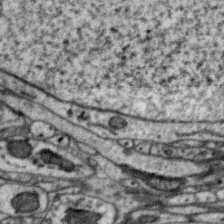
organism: Zebra finch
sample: Brain